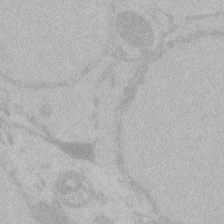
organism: Zebrafish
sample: Macrophage infected with Toxoplasma gondii